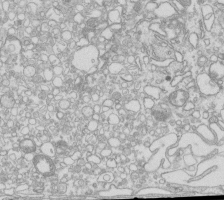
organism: Mouse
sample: Macrophages